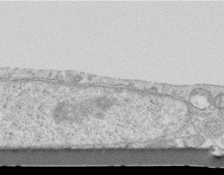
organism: Mouse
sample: Centriole in ependymal cells